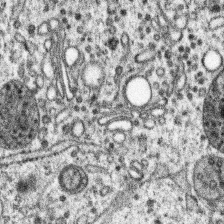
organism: Human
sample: HeLa cells